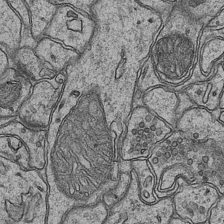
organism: Mouse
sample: CA1 Hippocampus